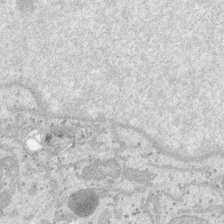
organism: Human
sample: Lung epithelial cells infected with SARS-CoV-2